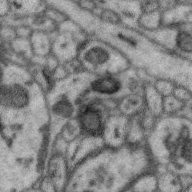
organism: Zebra finch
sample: Brain